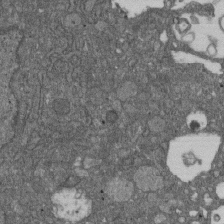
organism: Drosophila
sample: Nephrocyte